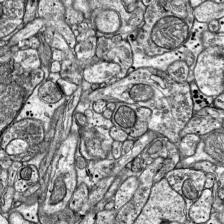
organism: Mouse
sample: Visual Cortex